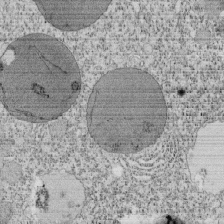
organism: Tetrahymena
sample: Cilia in tetrahymena